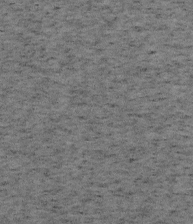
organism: Mouse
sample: OT-I killer T cells with ID8 ovarian cancer cells